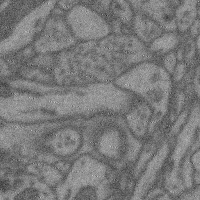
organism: Mouse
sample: Cerebral cortex